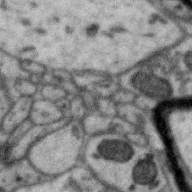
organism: Zebra finch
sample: Brain